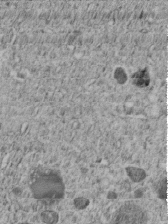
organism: C. elegans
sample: C. elegans embryo early stage